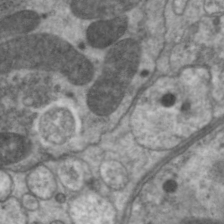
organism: C. elegans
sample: Pharynx